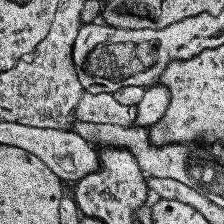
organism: Human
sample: Temporal Lobe